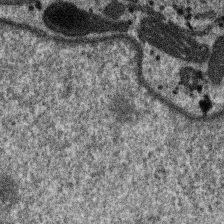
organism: Human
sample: Lung epithelial cells infected with SARS-CoV-2